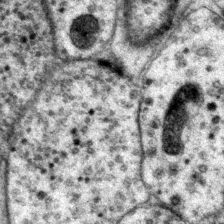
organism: P. pacificus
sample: Pharynx